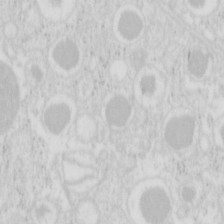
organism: Mouse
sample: Pancreas